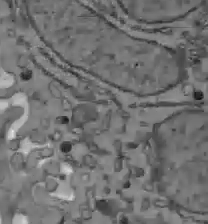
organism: C57BL Mouse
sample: Liver